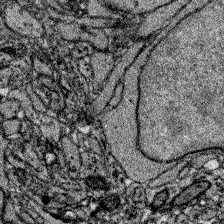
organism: Zebrafish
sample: Larval olfactory bulb